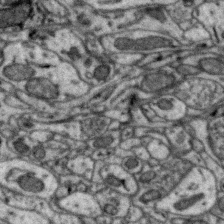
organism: Zebra finch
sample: Brain